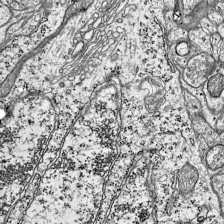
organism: Mouse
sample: Visual Cortex